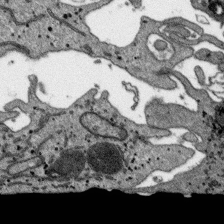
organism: Human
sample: Lung epithelial cells, uninfected (mock) control